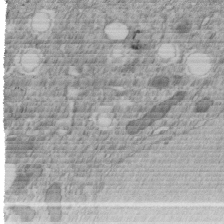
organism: C. elegans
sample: C. elegans embryo early stage